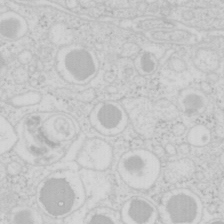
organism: Mouse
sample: Pancreas